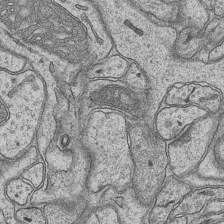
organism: Mouse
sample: CA1 Hippocampus